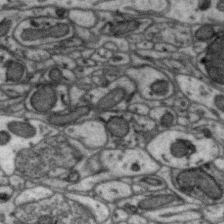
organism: Zebra finch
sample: Brain